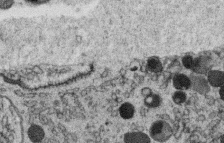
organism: C. elegans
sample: C. elegans oocyte; sperm cells